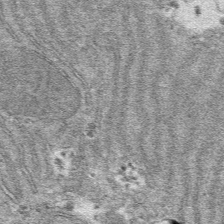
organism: Mouse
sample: Mouse hepatocytes